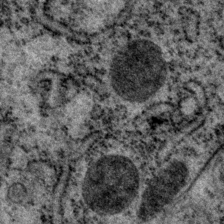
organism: P. pacificus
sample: Pharynx